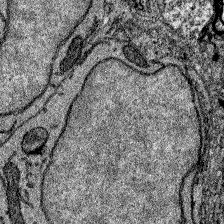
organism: Zebrafish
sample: Larval olfactory bulb